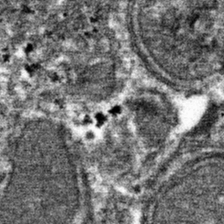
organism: Mouse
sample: Mouse hepatocytes